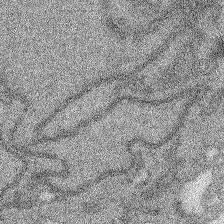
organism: Human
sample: HeLa cells